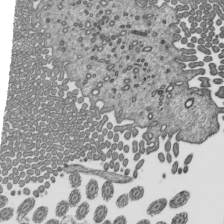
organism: Mouse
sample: Mouse epididymis efferent ductule cilia